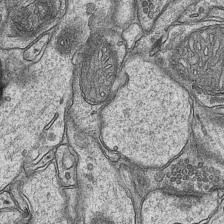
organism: Mouse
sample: CA1 Hippocampus